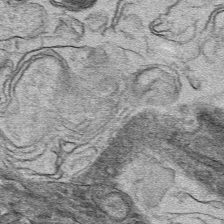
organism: Mouse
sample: Mouse hepatocytes